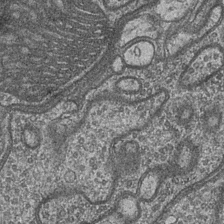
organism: Drosophila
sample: Optic medulla